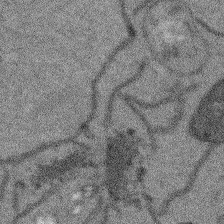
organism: Arabidopsis thaliana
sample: Root tip